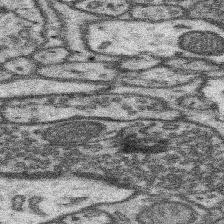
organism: Mouse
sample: Somatosensory cortex neuropil